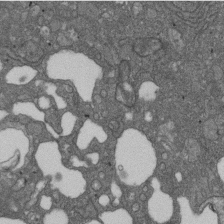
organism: Drosophila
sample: Nephrocyte